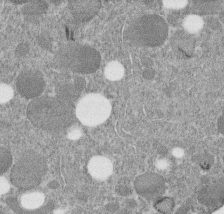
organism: C. elegans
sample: C. elegans embryo early stage